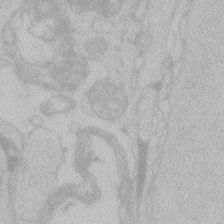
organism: Zebrafish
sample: Macrophage infected with Toxoplasma gondii